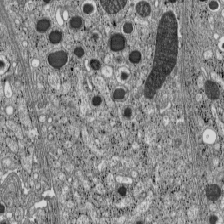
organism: C57BL Mouse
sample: Pancreatic islet